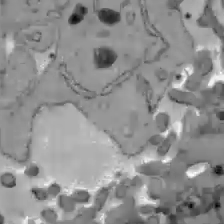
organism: C57BL Mouse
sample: Liver